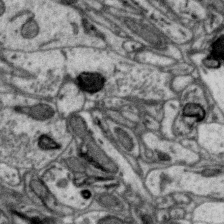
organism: Zebra finch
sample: Brain